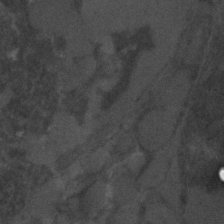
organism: C. elegans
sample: C. elegans embryo